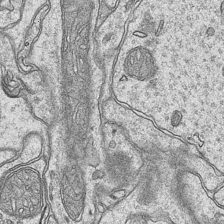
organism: Mouse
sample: CA1 Hippocampus